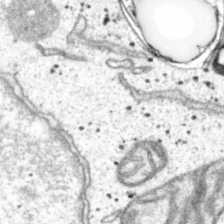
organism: Human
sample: HeLa cells